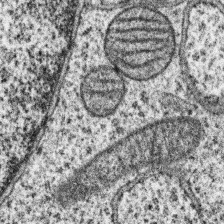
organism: Human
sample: HeLa cells